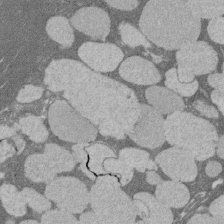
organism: Rat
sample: Salivary granule